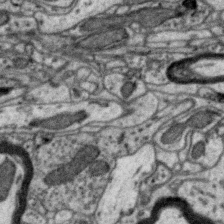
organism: Zebra finch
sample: Brain